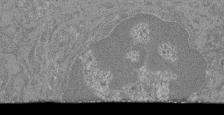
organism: Mouse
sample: Glomerulus